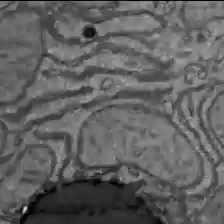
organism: C57BL Mouse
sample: Liver